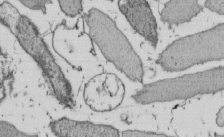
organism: E. coli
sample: Bacterial nucleoid